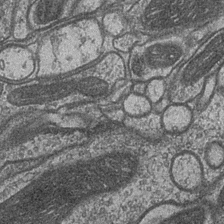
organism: Drosophila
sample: Optic medulla